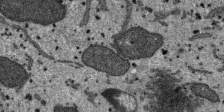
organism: Human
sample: Lung epithelial cells, uninfected (mock) control